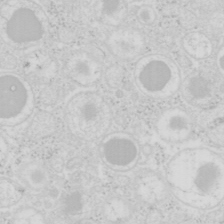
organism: Mouse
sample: Pancreas